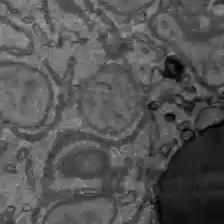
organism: C57BL Mouse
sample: Liver